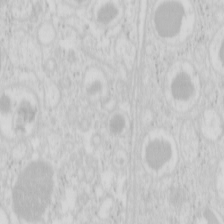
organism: Mouse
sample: Pancreas